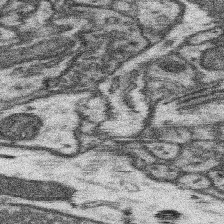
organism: Mouse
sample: Somatosensory cortex neuropil